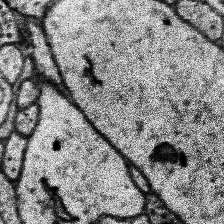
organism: Human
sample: Temporal Lobe